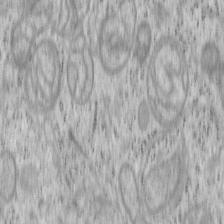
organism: Human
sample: HeLa cells